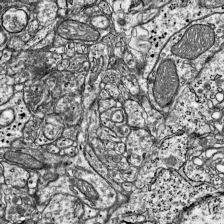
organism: Mouse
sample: Visual Cortex